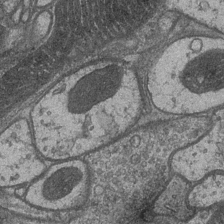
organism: Drosophila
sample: Optic medulla